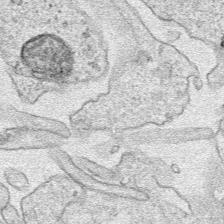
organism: Human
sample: Mitochondria in HCT116 cells